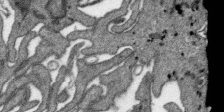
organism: Human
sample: Lung epithelial cells, uninfected (mock) control